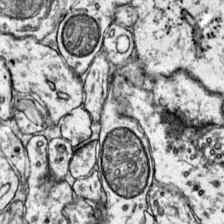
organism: Mouse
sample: Primary visual cortex